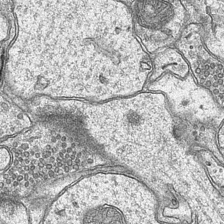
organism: Mouse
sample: CA1 Hippocampus